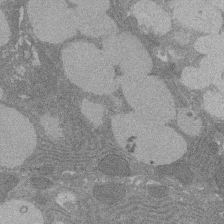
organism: Rat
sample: Salivary granule